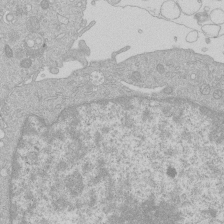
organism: Human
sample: Macrophage cells